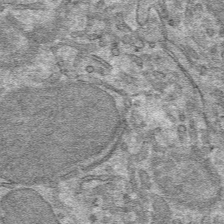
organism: Mouse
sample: Mouse hepatocytes